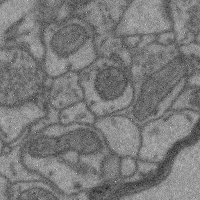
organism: Mouse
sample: Cerebral cortex